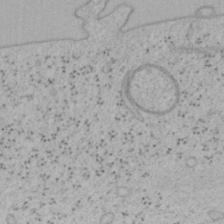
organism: Human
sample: HeLa cells